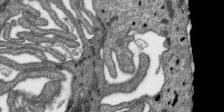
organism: Human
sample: Lung epithelial cells, uninfected (mock) control